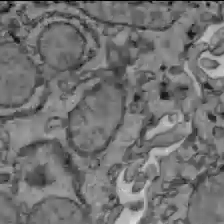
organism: C57BL Mouse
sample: Liver